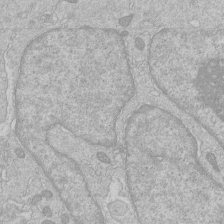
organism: Human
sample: Macrophage cells